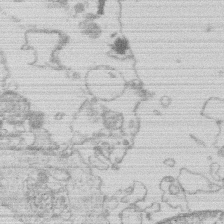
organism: Human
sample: Macrophage cells